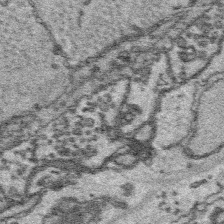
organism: Platynereis dumerilii